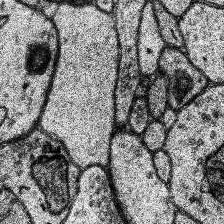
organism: Human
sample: Temporal Lobe